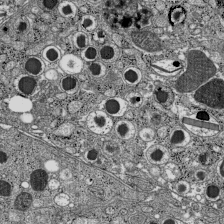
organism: C57BL Mouse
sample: Pancreatic islet